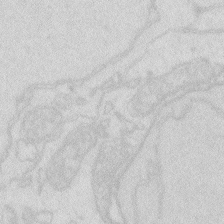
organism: Zebrafish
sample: Macrophage